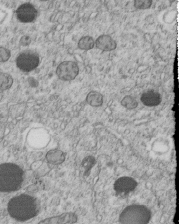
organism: C. elegans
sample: C. elegans embryo early stage